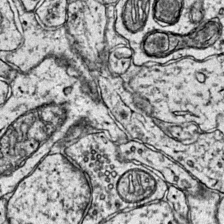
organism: Mouse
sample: Primary visual cortex